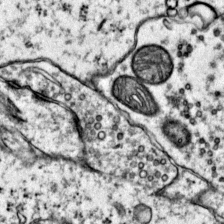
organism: Mouse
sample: Primary visual cortex